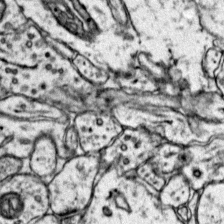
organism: Mouse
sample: Primary visual cortex